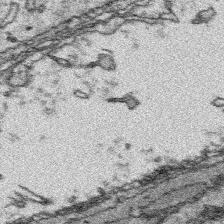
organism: Platynereis dumerilii